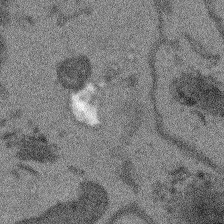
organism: Arabidopsis thaliana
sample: Root tip